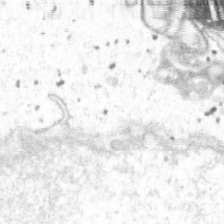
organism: Human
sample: HeLa cells